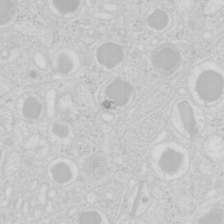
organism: Mouse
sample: Pancreas